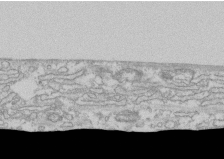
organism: Human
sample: CRL-1474